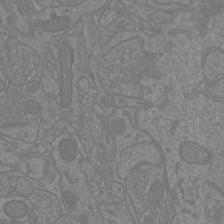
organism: Mouse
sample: Cortical neurons